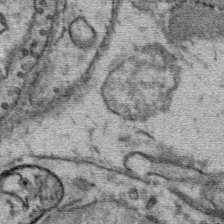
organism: Mouse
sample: Mouse Salivary gland